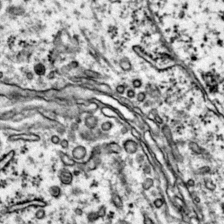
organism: Mouse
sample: Primary visual cortex